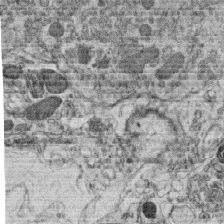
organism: C. elegans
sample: C. elegans oocyte; sperm cells